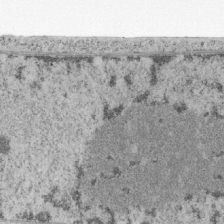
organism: Human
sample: HeLa cells